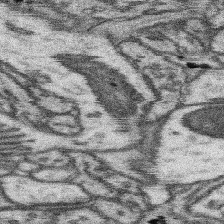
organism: Mouse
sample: Somatosensory cortex neuropil